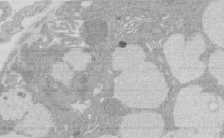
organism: Rat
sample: Salivary granule